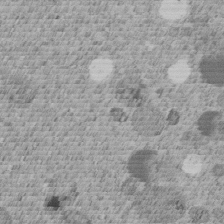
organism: C. elegans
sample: C. elegans embryo early stage